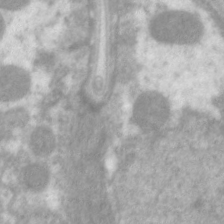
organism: C. elegans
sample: Pharynx